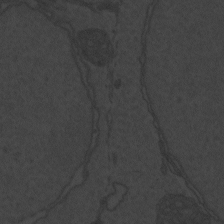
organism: Zebrafish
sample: Macrophage infected with Toxoplasma gondii